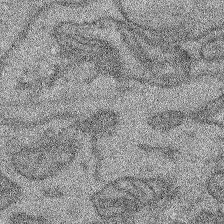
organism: Human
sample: HeLa cells